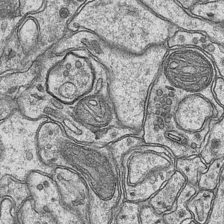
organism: Mouse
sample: CA1 Hippocampus